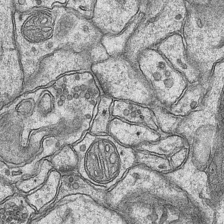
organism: Mouse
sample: CA1 Hippocampus